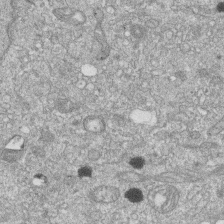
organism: Human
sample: HeLa cell HIV synapse